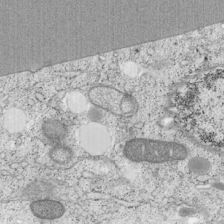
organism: African green monkey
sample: COS-7 cells